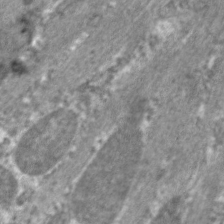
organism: C. elegans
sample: Pharynx